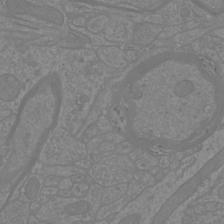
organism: Mouse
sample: Cortical neurons